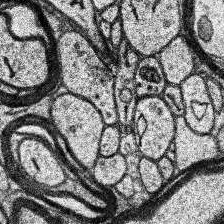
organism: Human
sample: Temporal Lobe